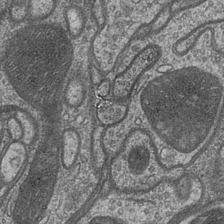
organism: Drosophila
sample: Optic medulla